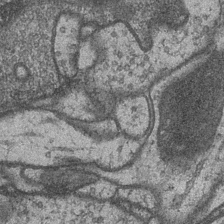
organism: Drosophila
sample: Optic medulla